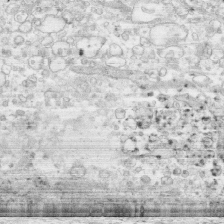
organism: Human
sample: CRL-1474